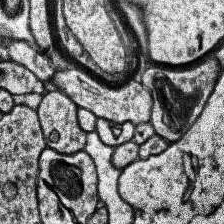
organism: Human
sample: Temporal Lobe